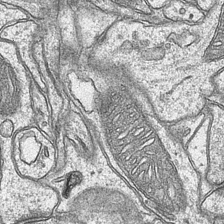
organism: Mouse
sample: CA1 Hippocampus